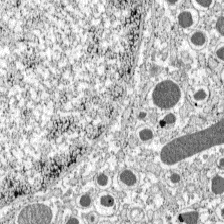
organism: C57BL Mouse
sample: Pancreatic islet